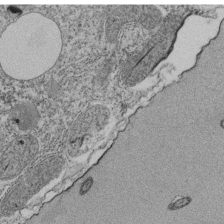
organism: Tetrahymena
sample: Cilia in tetrahymena